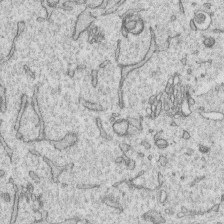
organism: Human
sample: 1205lu cells